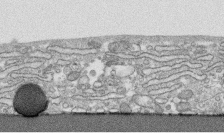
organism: Human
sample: CRL-1474